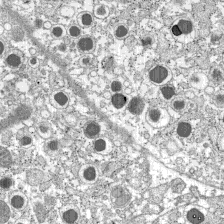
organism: C57BL Mouse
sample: Pancreatic islet